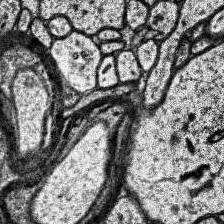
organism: Human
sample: Temporal Lobe